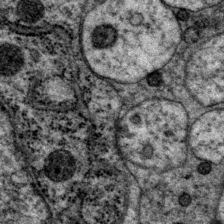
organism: P. pacificus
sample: Pharynx